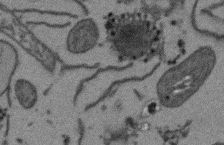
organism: Arabidopsis thaliana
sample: Root tip